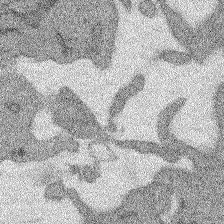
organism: Human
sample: HeLa cells